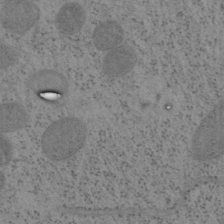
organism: Mouse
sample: OT-I killer T cells with ID8 ovarian cancer cells